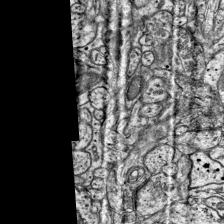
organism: Mouse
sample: Visual Cortex